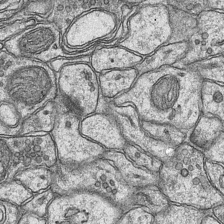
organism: Mouse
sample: CA1 Hippocampus